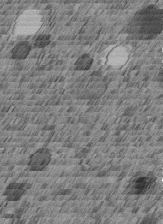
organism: C. elegans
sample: C. elegans embryo early stage